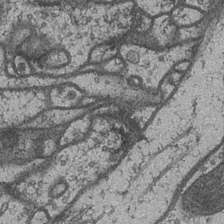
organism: Drosophila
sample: Optic medulla